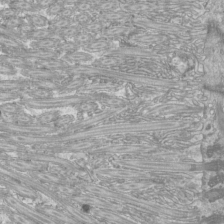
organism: Mouse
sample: Cilia; mouse epididymis